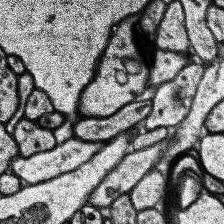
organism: Human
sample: Temporal Lobe